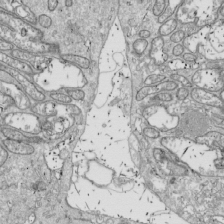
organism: Drosophila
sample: Cell division; meiosis; drosophila spermatocytes